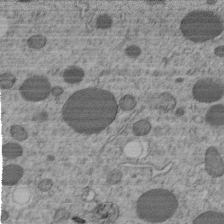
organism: C. elegans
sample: C. elegans embryo early stage